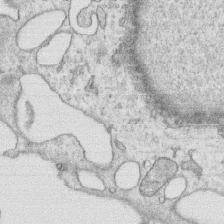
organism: Human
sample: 1205lu cells